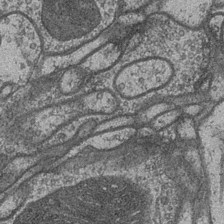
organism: Drosophila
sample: Optic medulla